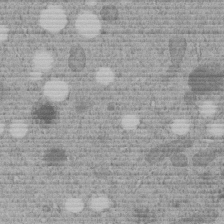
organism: C. elegans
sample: C. elegans embryo early stage